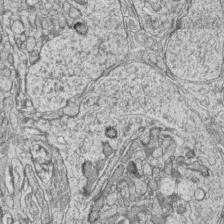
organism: Zebrafish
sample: synaptic ribbons in rod cells and cone cells